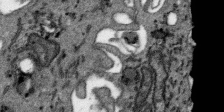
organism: Human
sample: Lung epithelial cells, uninfected (mock) control